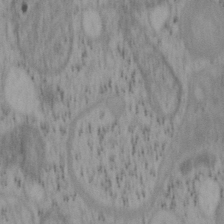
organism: Mouse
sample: OT-I killer T cells with ID8 ovarian cancer cells